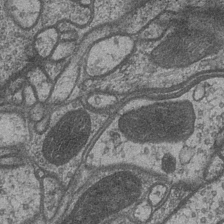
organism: Drosophila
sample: Optic medulla